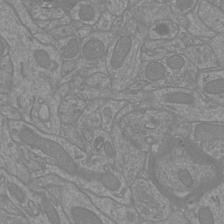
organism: Mouse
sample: Cortical neurons